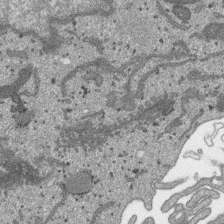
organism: Human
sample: Lung epithelial cells infected with SARS-CoV-2